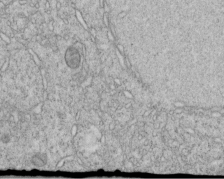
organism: C. elegans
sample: C. elegans embryo early stage